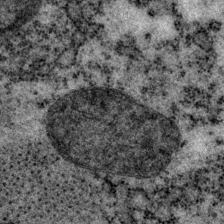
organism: P. pacificus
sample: Pharynx